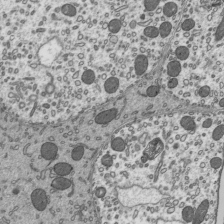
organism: Mouse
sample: Mouse epididymis efferent ductule cilia